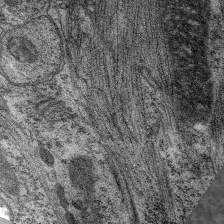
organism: C. elegans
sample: Pharynx